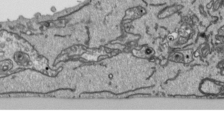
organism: Human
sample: Mitochondria in HCT116 cells